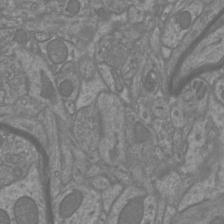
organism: Mouse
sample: Cortical neurons